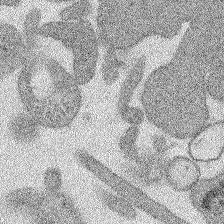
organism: Human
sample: HeLa cells